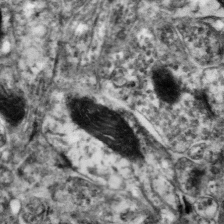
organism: Mouse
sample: Neocortex